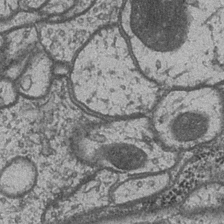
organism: Drosophila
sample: Optic medulla